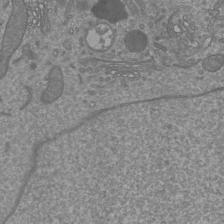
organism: Mouse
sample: Cortical neurons